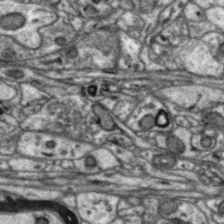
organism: Zebra finch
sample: Brain